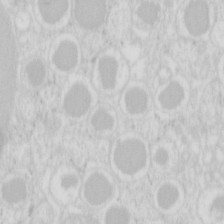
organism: Mouse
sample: Pancreas